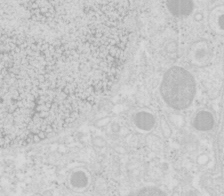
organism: Mouse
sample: Pancreas